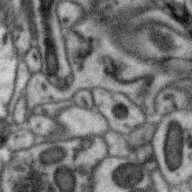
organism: Zebra finch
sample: Brain